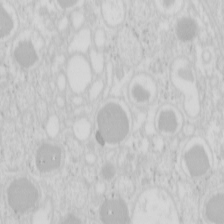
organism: Mouse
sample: Pancreas